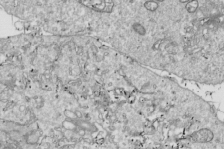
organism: Drosophila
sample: Cell division; meiosis; drosophila spermatocytes